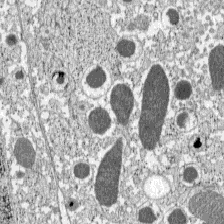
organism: C57BL Mouse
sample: Pancreatic islet